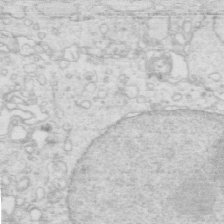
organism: Mouse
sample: Multiciliated cells